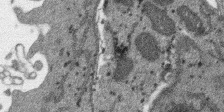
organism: Human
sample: Lung epithelial cells infected with SARS-CoV-2